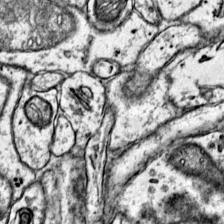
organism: Mouse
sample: Primary visual cortex